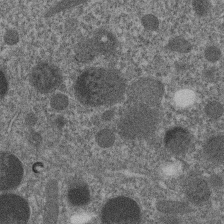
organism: C. elegans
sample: C. elegans embryo early stage